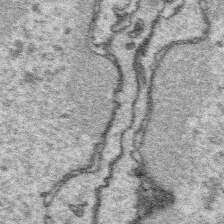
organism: Platynereis dumerilii